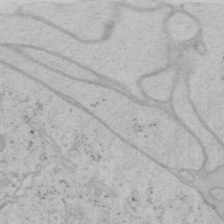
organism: Human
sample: HeLa cells